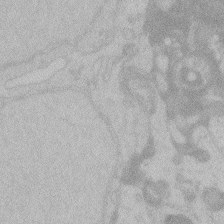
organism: Zebrafish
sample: Macrophage infected with Toxoplasma gondii